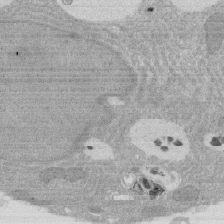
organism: Rat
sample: Salivary granule